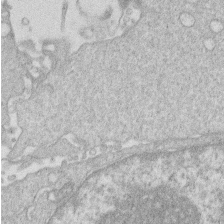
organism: Human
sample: Macrophage cells